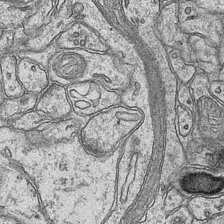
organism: Mouse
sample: CA1 Hippocampus